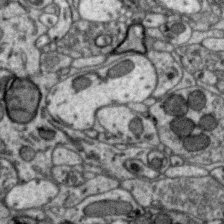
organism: Zebra finch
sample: Brain